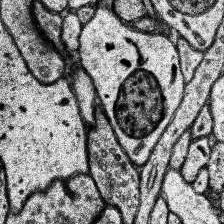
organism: Human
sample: Temporal Lobe